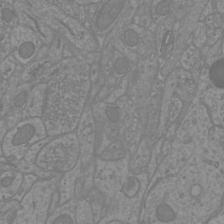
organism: Mouse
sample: Cortical neurons